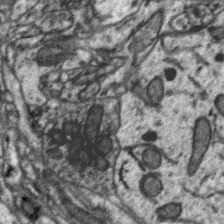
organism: Zebra finch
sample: Brain